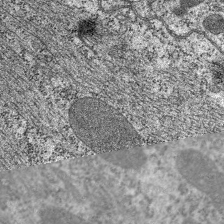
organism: C. elegans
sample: Pharynx